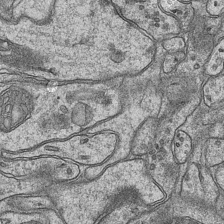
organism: Mouse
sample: CA1 Hippocampus